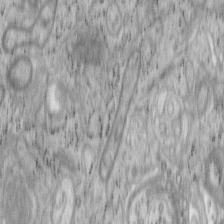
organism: Human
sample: HeLa cells